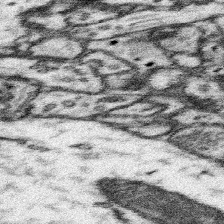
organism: Mouse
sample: Somatosensory cortex neuropil